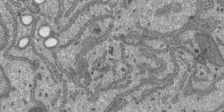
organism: Human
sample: Lung epithelial cells infected with SARS-CoV-2